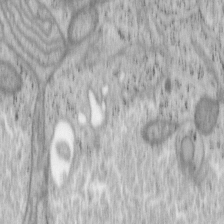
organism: Human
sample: HeLa cells